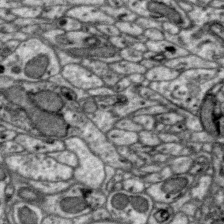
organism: Zebra finch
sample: Brain